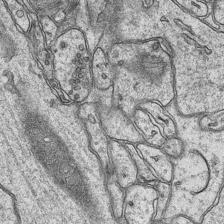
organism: Mouse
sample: CA1 Hippocampus